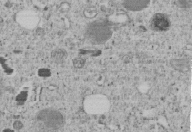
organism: C. elegans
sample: C. elegans embryo early stage